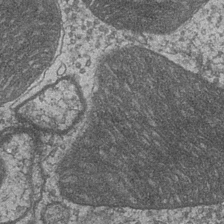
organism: Drosophila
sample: Optic medulla